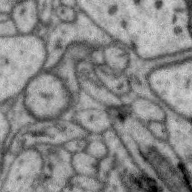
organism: Zebra finch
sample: Brain